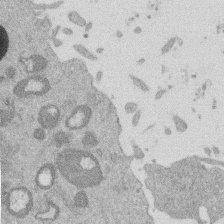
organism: Mouse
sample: Dividing mouse embryo 1 cell stage